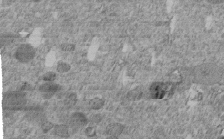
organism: C. elegans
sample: C. elegans embryo early stage